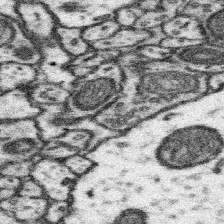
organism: Mouse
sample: Somatosensory cortex neuropil